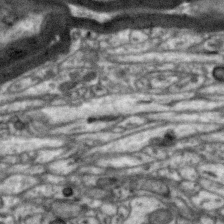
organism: Zebra finch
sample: Brain